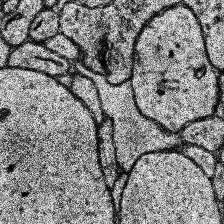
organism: Human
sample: Temporal Lobe